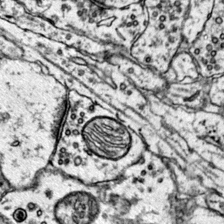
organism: Mouse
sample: Primary visual cortex